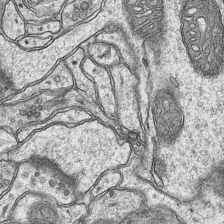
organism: Mouse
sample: CA1 Hippocampus